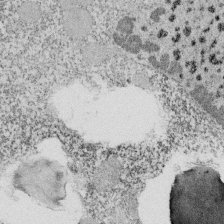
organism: Tetrahymena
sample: Cilia in tetrahymena